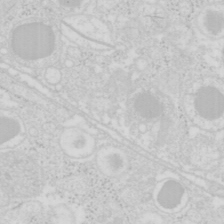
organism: Mouse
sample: Pancreas